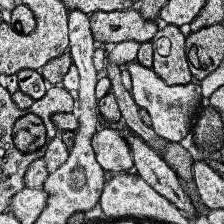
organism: Human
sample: Temporal Lobe